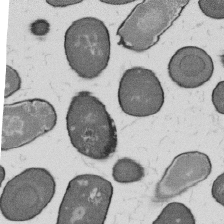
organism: B. subtilis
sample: Bacterial spore